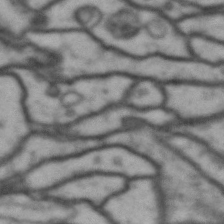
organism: Drosophila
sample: Brain